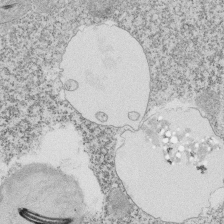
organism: Tetrahymena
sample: Cilia in tetrahymena